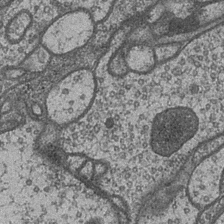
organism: Drosophila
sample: Optic medulla